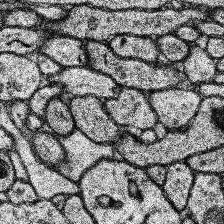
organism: Human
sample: Temporal Lobe